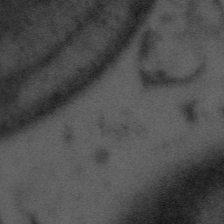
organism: Tuwongella immobilis